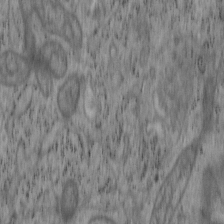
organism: Human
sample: HeLa cells